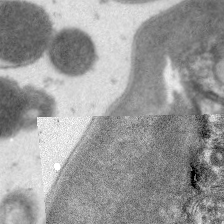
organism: C. elegans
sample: Pharynx